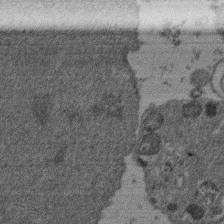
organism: Mouse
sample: Dividing mouse embryo 1 cell stage